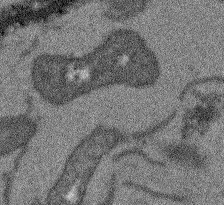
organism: Arabidopsis thaliana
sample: Root tip